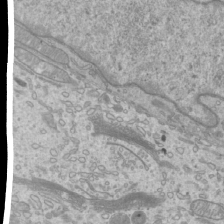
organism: Mouse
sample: Cilia; mouse epididymis